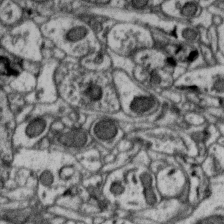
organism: Zebra finch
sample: Brain